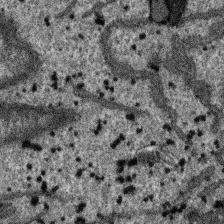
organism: Human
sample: Lung epithelial cells infected with SARS-CoV-2